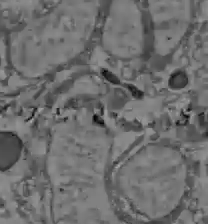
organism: C57BL Mouse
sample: Liver